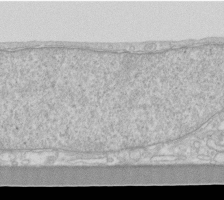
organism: Human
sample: Fibroblast cells